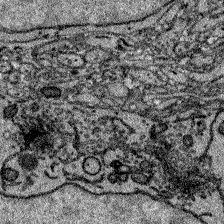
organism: Zebrafish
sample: Larval olfactory bulb